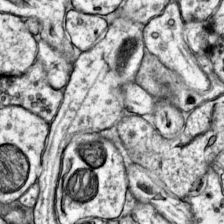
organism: Mouse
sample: Primary visual cortex